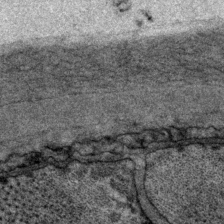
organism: P. pacificus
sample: Pharynx